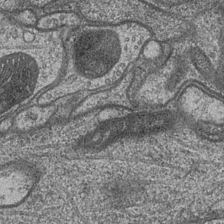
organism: Drosophila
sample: Optic medulla